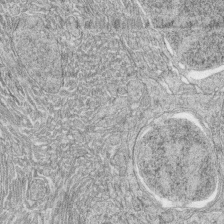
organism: Zebrafish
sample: synaptic ribbons in rod cells and cone cells